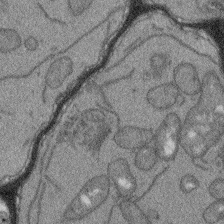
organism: Arabidopsis thaliana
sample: Root tip